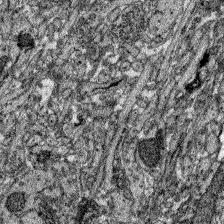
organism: Zebrafish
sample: Larval olfactory bulb